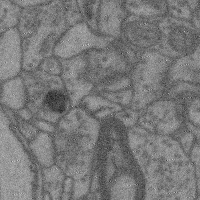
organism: Mouse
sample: Cerebral cortex